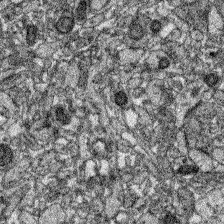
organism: Zebrafish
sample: Larval olfactory bulb